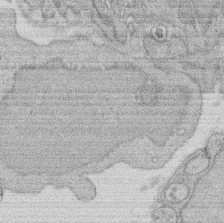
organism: Rat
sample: Salivary granule